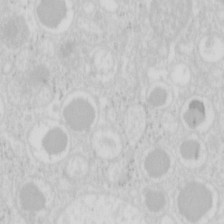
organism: Mouse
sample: Pancreas